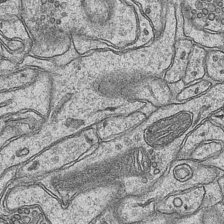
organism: Mouse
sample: CA1 Hippocampus